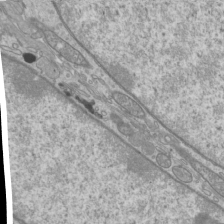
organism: Mouse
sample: Cilia; mouse epididymis